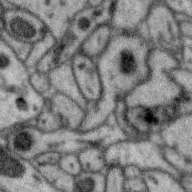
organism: Zebra finch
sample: Brain